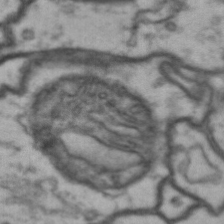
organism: Drosophila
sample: Brain